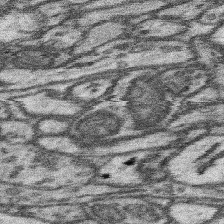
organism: Mouse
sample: Somatosensory cortex neuropil